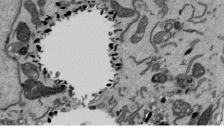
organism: Mouse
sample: ED-1 cell nuclei; centrioles